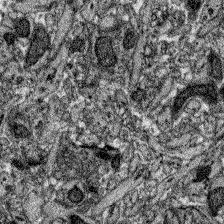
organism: Zebrafish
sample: Larval olfactory bulb